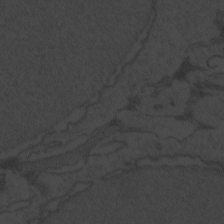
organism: Zebrafish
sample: Macrophage infected with Toxoplasma gondii